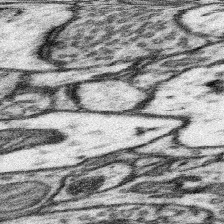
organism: Mouse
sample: Somatosensory cortex neuropil